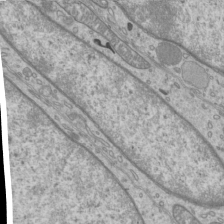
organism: Mouse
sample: Cilia; mouse epididymis